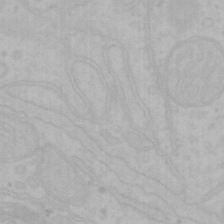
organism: Mouse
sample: Choroid plexus